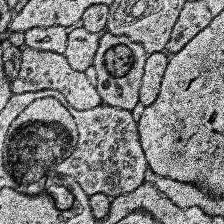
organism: Human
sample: Temporal Lobe